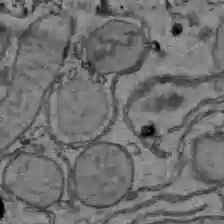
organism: C57BL Mouse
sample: Liver